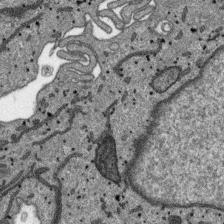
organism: Human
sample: Lung epithelial cells, uninfected (mock) control